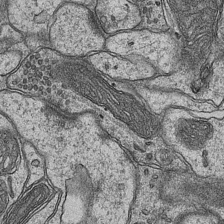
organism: Mouse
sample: CA1 Hippocampus